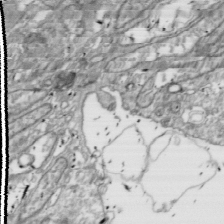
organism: Drosophila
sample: Cell division; meiosis; drosophila spermatocytes